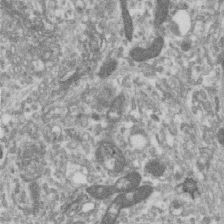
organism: Human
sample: Centriole in RPE cells